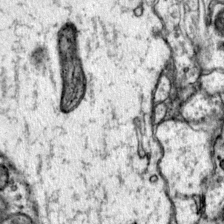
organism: Mouse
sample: Primary visual cortex